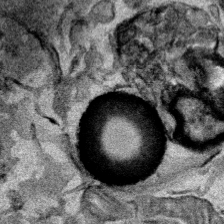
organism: Mouse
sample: Cancer cell death in ED-1 cells